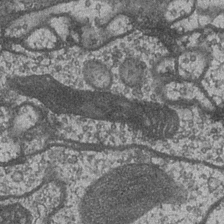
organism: Drosophila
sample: Optic medulla